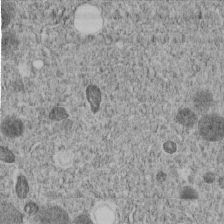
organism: C. elegans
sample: C. elegans embryo early stage